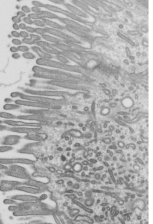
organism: Mouse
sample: Mouse epididymis efferent ductule cilia